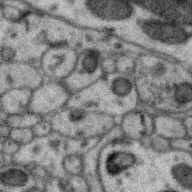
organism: Zebra finch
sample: Brain